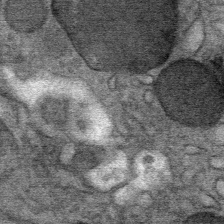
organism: Mouse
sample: Mouse Salivary gland